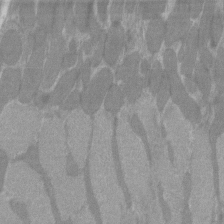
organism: C57BL Mouse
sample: Tibialis anterior muscle cell